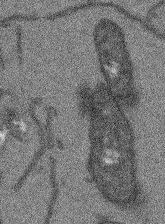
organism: Arabidopsis thaliana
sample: Root tip